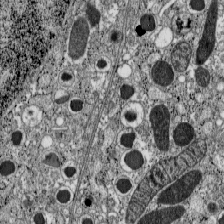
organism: C57BL Mouse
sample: Pancreatic islet